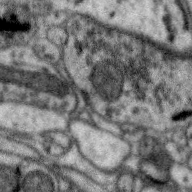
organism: Zebra finch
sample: Brain